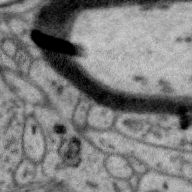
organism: Zebra finch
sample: Brain